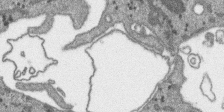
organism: Human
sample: Lung epithelial cells infected with SARS-CoV-2